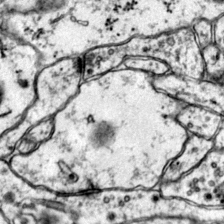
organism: Mouse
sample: Primary visual cortex